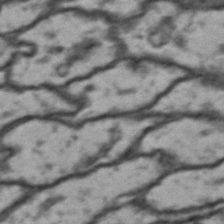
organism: Drosophila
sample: Brain